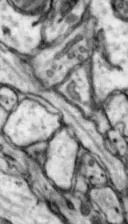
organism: Mouse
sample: Nucleus accumbens